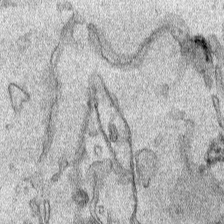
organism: Human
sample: Mitochondria in HCT116 cells